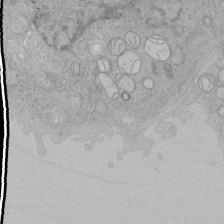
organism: Human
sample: Mitochondria in HCT116 cells